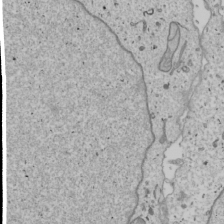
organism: Human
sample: Mitochondria in U2OS cells